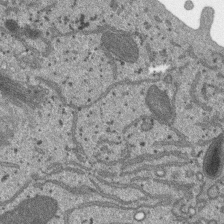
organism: Human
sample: Lung epithelial cells infected with SARS-CoV-2